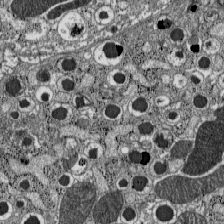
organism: C57BL Mouse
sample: Pancreatic islet